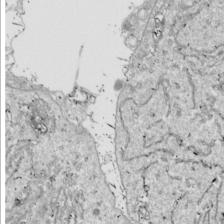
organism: Drosophila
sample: Cell division; meiosis; drosophila spermatocytes